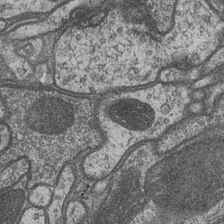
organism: Drosophila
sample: Optic medulla